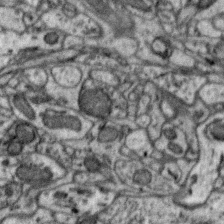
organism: Zebra finch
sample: Brain